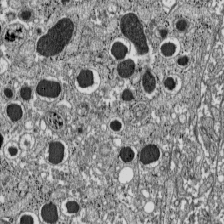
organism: C57BL Mouse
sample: Pancreatic islet